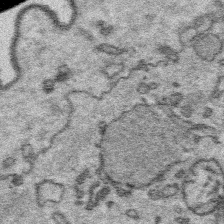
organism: Platynereis dumerilii